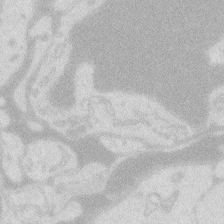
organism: Zebrafish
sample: Macrophage